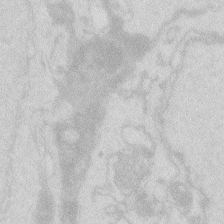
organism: Zebrafish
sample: Macrophage